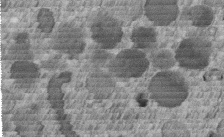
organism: C. elegans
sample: C. elegans embryo early stage